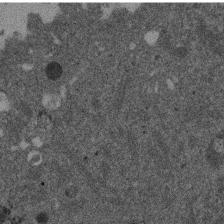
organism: Mouse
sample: Dividing mouse embryo 1 cell stage